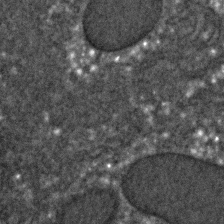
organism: C. elegans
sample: C. elegans embryo